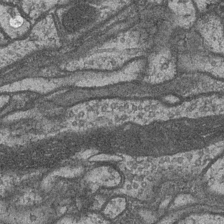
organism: Drosophila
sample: Optic medulla